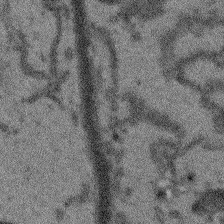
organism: Arabidopsis thaliana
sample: Root tip